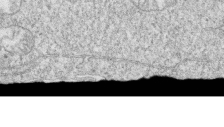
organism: Human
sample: HeLa cell HIV synapse